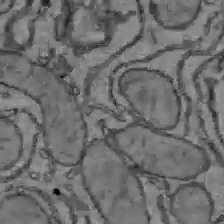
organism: C57BL Mouse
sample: Liver